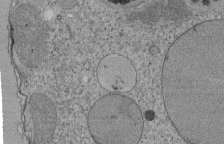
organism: Tetrahymena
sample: Cilia in tetrahymena